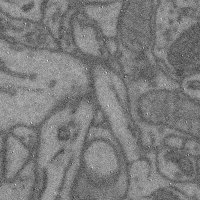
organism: Mouse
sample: Cerebral cortex